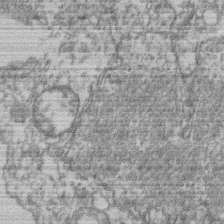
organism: Mouse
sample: T cell stromal cell synapse